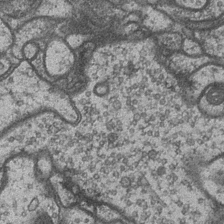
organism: Drosophila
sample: Optic medulla